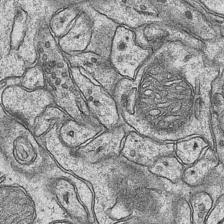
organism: Mouse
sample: CA1 Hippocampus